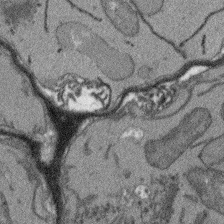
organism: Arabidopsis thaliana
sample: Root tip